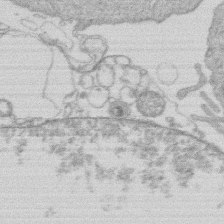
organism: Human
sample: Macrophage cells